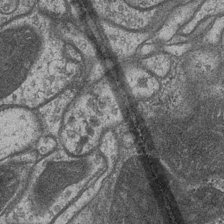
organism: Drosophila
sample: Optic medulla